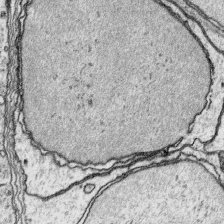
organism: Platynereis dumerilii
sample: Parapodia